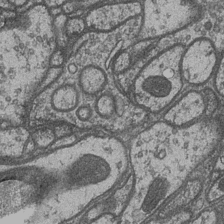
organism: Drosophila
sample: Optic medulla